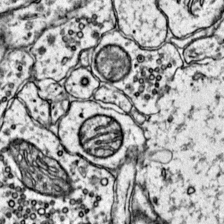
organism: Mouse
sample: Primary visual cortex